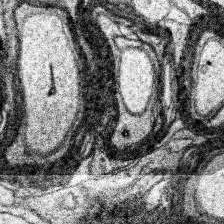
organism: Human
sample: Temporal Lobe